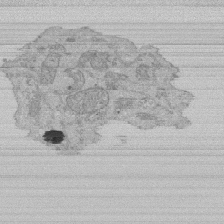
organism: Human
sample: Activated Jurkat CD4+ T cells